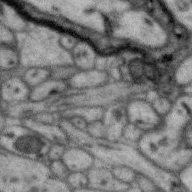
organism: Zebra finch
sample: Brain